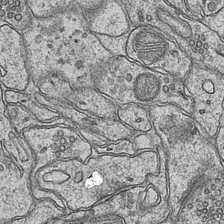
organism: Mouse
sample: CA1 Hippocampus